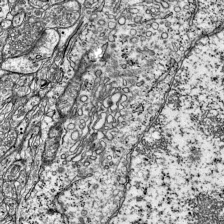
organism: Mouse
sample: Visual Cortex